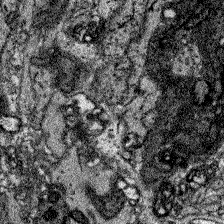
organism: Zebrafish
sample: Larval olfactory bulb